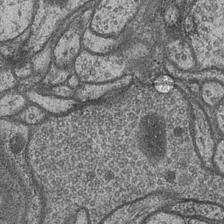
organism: Drosophila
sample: Optic medulla